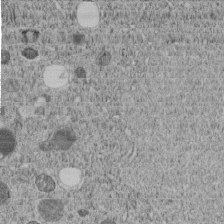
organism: C. elegans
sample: C. elegans embryo early stage